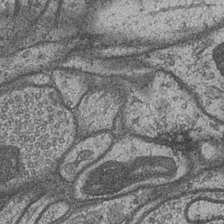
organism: Drosophila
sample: Optic medulla